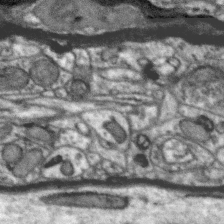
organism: Zebra finch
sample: Brain